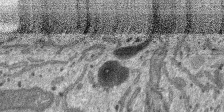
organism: Human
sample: Lung epithelial cells infected with SARS-CoV-2